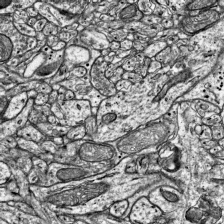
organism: Mouse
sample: Visual Cortex